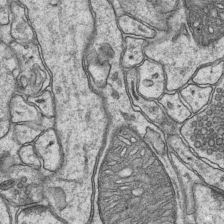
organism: Mouse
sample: CA1 Hippocampus